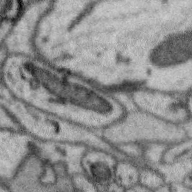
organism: Zebra finch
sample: Brain